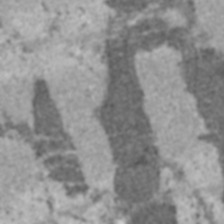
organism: C57BL Mouse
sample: Heart